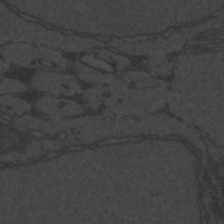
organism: Zebrafish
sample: Macrophage infected with Toxoplasma gondii